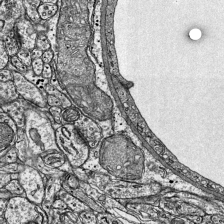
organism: Mouse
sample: Visual Cortex